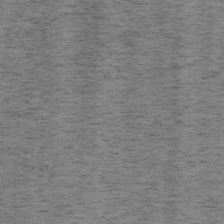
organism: Mouse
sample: OT-I killer T cells with ID8 ovarian cancer cells